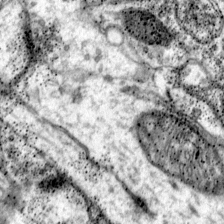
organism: Mouse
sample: Primary visual cortex